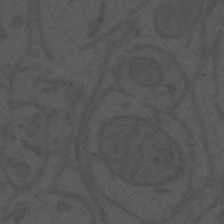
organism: Mouse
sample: Suprachiasmatic nucleus